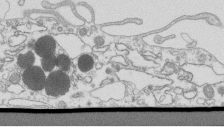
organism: Mouse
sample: Macrophages